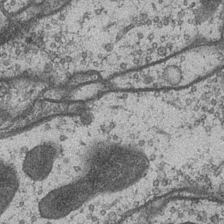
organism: Drosophila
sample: Optic medulla